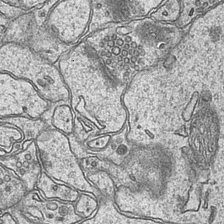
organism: Mouse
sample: CA1 Hippocampus